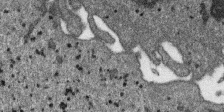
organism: Human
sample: Lung epithelial cells infected with SARS-CoV-2